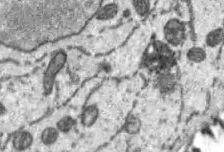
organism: Human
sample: HeLa cells